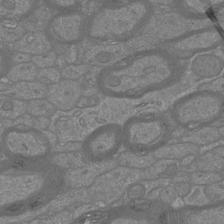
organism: Mouse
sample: Cortical neurons